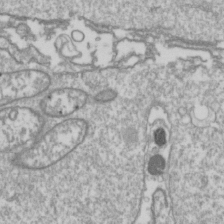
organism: Drosophila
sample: Cell division; meiosis; drosophila spermatocytes